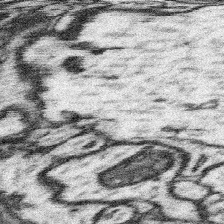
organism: Mouse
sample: Somatosensory cortex neuropil